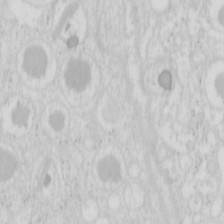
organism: Mouse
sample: Pancreas